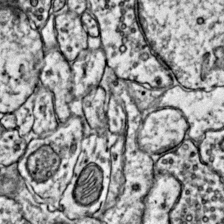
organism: Mouse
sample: Primary visual cortex